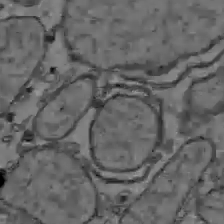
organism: C57BL Mouse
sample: Liver